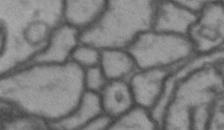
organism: Drosophila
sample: Brain